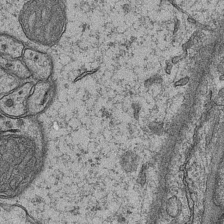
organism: Mouse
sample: CA1 Hippocampus